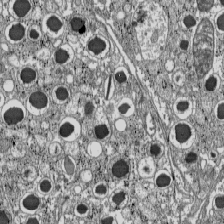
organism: C57BL Mouse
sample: Pancreatic islet